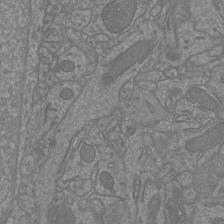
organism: Mouse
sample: Cortical neurons